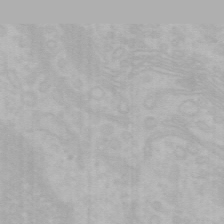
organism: Mouse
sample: Choroid plexus